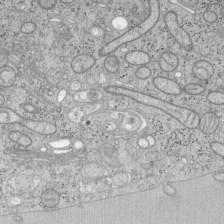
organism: Mouse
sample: OT-I killer T cells with ID8 ovarian cancer cells